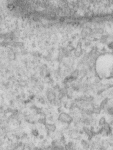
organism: Human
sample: Centriole in RPE cells